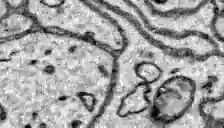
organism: Zebrafish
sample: Brain